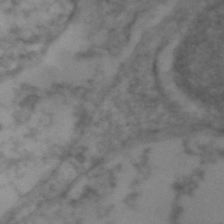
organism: Zebrafish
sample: Zebrafish embryo